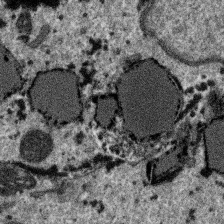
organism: Human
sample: Lung epithelial cells infected with SARS-CoV-2